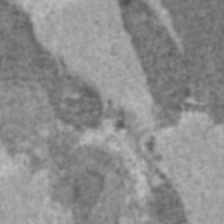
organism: C57BL Mouse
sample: Heart